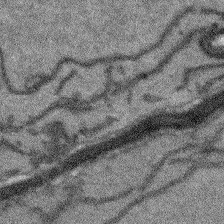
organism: Arabidopsis thaliana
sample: Root tip